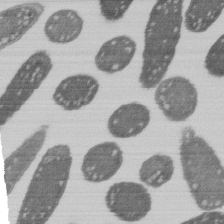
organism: E. coli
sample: Bacterial nucleoid